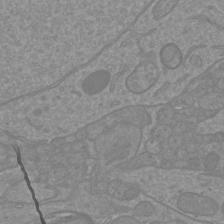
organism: Mouse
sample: Cortical neurons